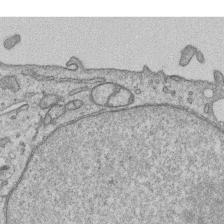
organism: Human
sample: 1205lu cells